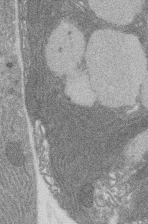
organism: Rat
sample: Salivary granule